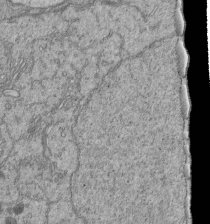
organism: Human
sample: Retinal organoid Rod and Cone cells